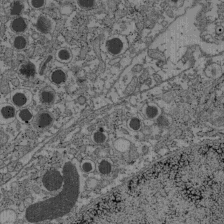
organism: C57BL Mouse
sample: Pancreatic islet